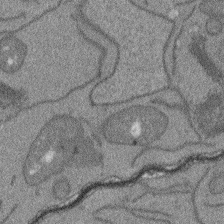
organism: Arabidopsis thaliana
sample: Root tip